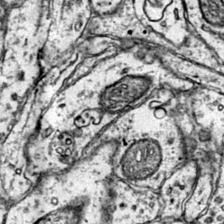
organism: Mouse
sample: Primary visual cortex